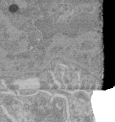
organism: Mouse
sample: Glomerulus